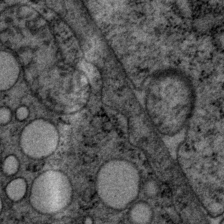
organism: P. pacificus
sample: Pharynx